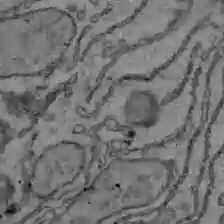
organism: C57BL Mouse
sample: Liver